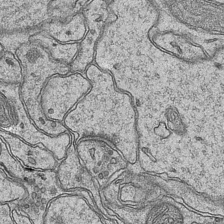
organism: Mouse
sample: CA1 Hippocampus